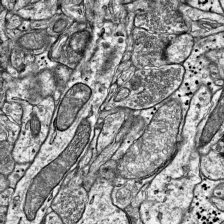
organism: Mouse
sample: Visual Cortex